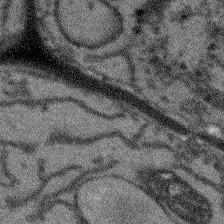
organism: Arabidopsis thaliana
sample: Root tip